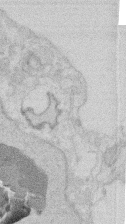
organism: Mouse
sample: T cell stromal cell synapse